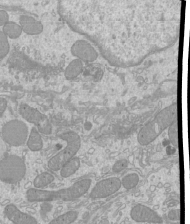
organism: Mouse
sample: Cilia; mouse epididymis